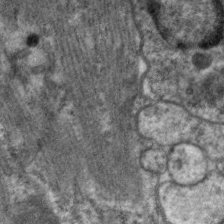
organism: C. elegans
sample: Pharynx